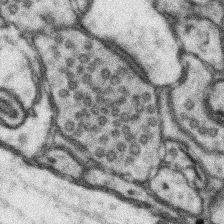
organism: Mouse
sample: Somatosensory cortex neuropil